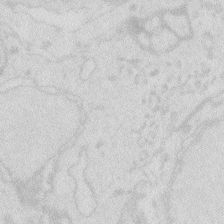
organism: Zebrafish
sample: Macrophage